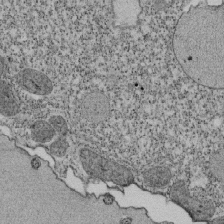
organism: Tetrahymena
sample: Cilia in tetrahymena